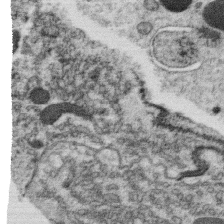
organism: C. elegans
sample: C. elegans oocyte; sperm cells